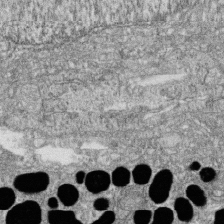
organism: Zebrafish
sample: Cilia; retinal pigment epithelium